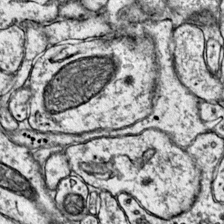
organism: Mouse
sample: Primary visual cortex